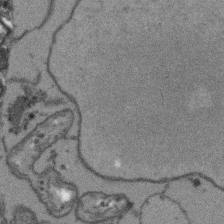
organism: Arabidopsis thaliana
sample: Root tip